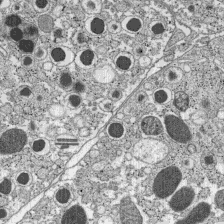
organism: C57BL Mouse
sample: Pancreatic islet